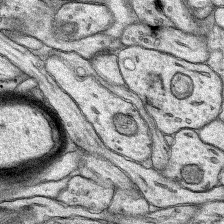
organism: Rat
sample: Hippocampus